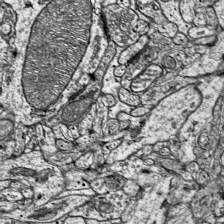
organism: Mouse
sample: Visual Cortex